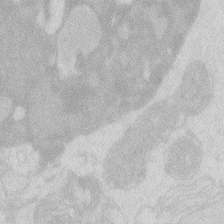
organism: Zebrafish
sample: Macrophage